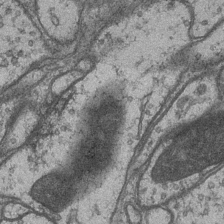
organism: Drosophila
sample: Optic medulla